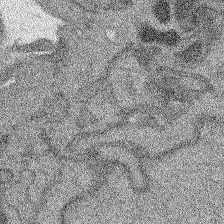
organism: Human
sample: HeLa cells